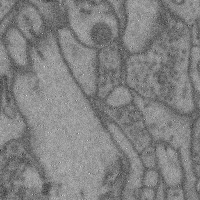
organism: Mouse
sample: Cerebral cortex